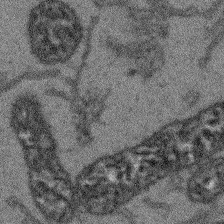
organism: Arabidopsis thaliana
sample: Root tip